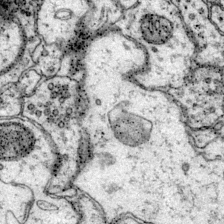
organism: Mouse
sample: Primary visual cortex